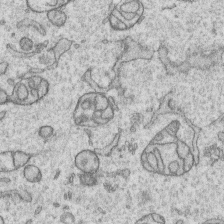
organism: Human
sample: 1205lu cells